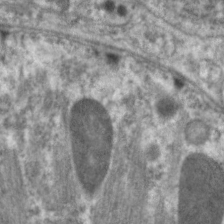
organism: C. elegans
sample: Pharynx